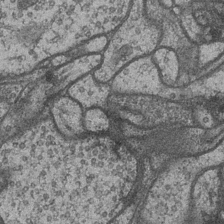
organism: Drosophila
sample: Optic medulla